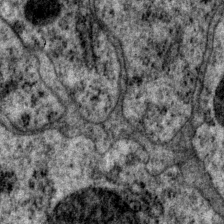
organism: P. pacificus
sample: Pharynx